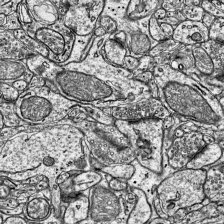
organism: Mouse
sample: Visual Cortex